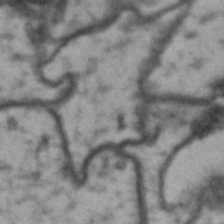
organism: Drosophila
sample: Brain